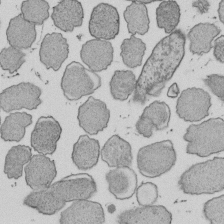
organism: E. coli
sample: Bacterial nucleoid